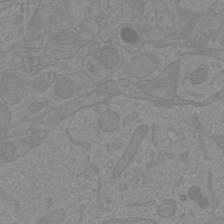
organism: Mouse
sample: Cortical neurons